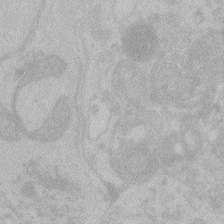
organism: Zebrafish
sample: Macrophage infected with Toxoplasma gondii